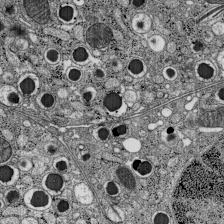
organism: C57BL Mouse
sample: Pancreatic islet